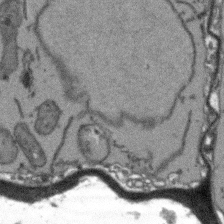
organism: Arabidopsis thaliana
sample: Root tip